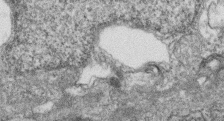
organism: Zebrafish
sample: Cilia; retinal pigment epithelium